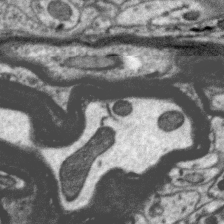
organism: Zebra finch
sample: Brain